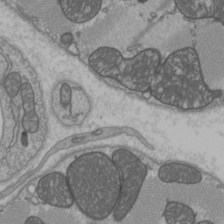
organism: C57BL Mouse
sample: Heart